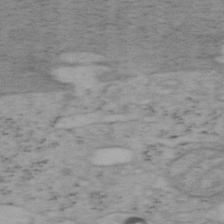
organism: Mouse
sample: OT-I killer T cells with ID8 ovarian cancer cells